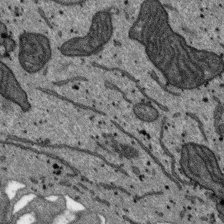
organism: Human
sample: Lung epithelial cells, uninfected (mock) control